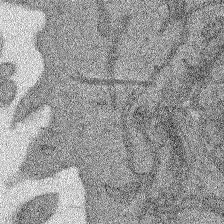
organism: Human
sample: HeLa cells